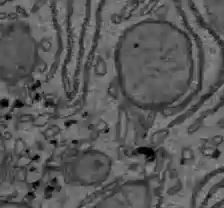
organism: C57BL Mouse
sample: Liver